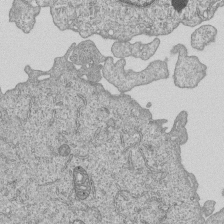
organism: Human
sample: MDA-MB-231 cells